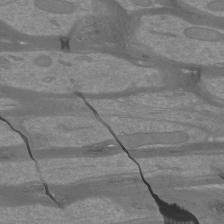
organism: Mouse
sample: Cortical neurons